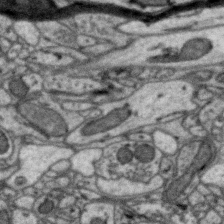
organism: Zebra finch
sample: Brain